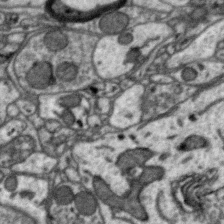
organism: Zebra finch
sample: Brain